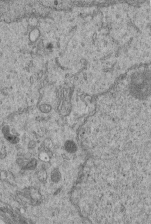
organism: Human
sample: Retinal organoid Rod and Cone cells